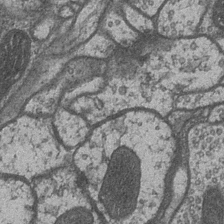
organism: Drosophila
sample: Optic medulla